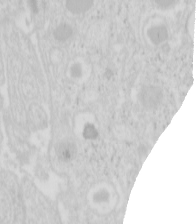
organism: Mouse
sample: Pancreas